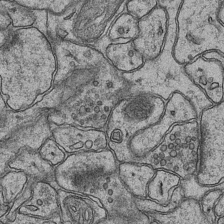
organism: Mouse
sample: CA1 Hippocampus